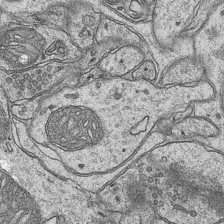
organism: Mouse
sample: CA1 Hippocampus